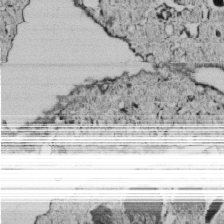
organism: C. elegans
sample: C. elegans embryo early stage